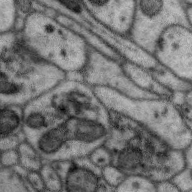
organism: Zebra finch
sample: Brain